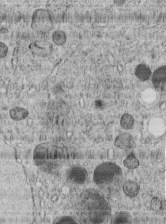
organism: C. elegans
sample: C. elegans embryo early stage